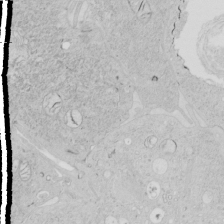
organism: Human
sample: Mitochondria in HCT116 cells